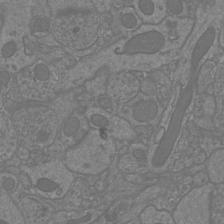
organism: Mouse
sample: Cortical neurons